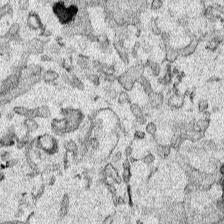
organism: Human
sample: Mitochondria in HCT116 cells